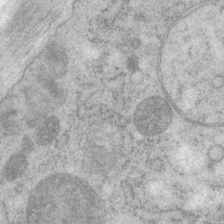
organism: P. pacificus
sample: Pharynx